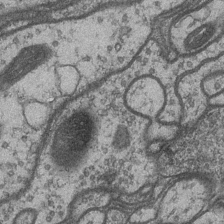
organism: Drosophila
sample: Optic medulla